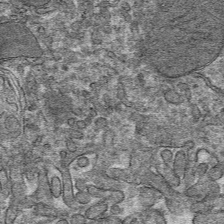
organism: Mouse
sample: Mouse hepatocytes